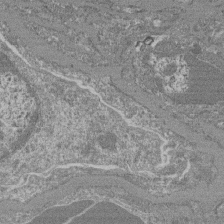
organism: Mouse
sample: Glomerulus